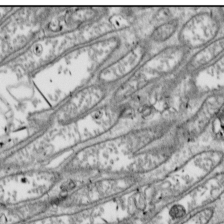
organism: Drosophila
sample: Cell division; meiosis; drosophila spermatocytes